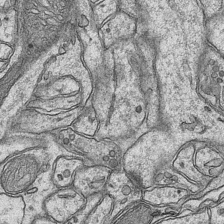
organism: Mouse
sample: CA1 Hippocampus